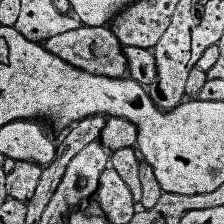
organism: Human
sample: Temporal Lobe